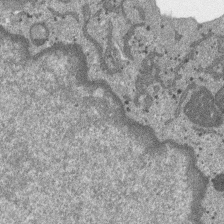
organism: Human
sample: Lung epithelial cells infected with SARS-CoV-2